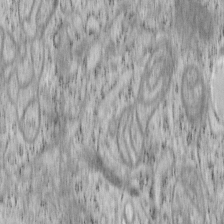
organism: Human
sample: HeLa cells